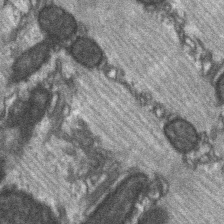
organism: C57BL Mouse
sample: Soleus